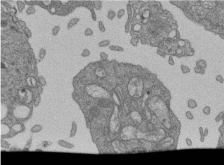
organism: Human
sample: Retinal organoid Rod and Cone cells